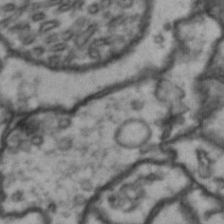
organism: Drosophila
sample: Brain